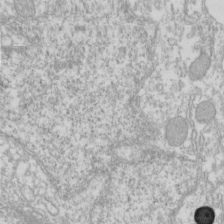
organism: Xenopus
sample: Cilia; centrioles in frog embryo cells